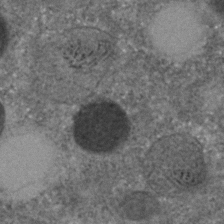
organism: C. elegans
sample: C. elegans embryo